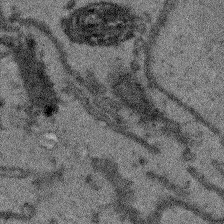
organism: Arabidopsis thaliana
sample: Root tip